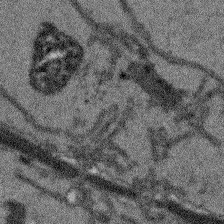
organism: Arabidopsis thaliana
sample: Root tip